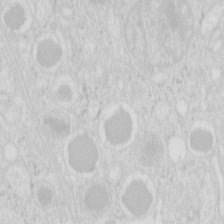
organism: Mouse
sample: Pancreas